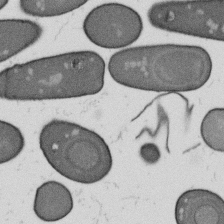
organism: B. subtilis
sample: Bacterial spore